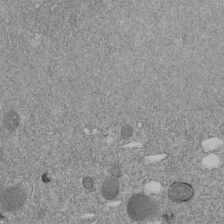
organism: C. elegans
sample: C. elegans embryo early stage